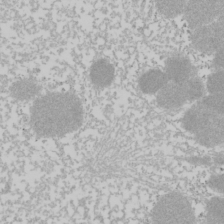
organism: Mouse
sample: Cancer cell death in ED-1 cells